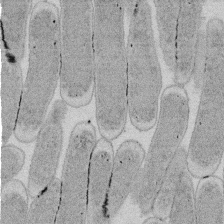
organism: E. coli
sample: Bacterial nucleoid